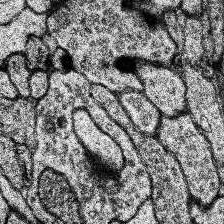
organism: Human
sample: Temporal Lobe